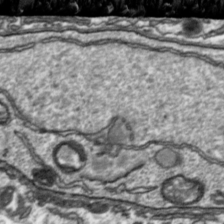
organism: Toxoplasma gondii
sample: Parasites in a vacuole inside a host cell